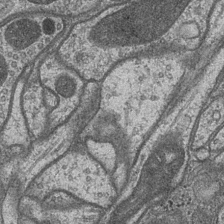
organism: Drosophila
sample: Optic medulla